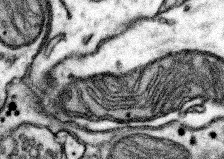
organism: Mouse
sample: Somatosensory cortex neuropil